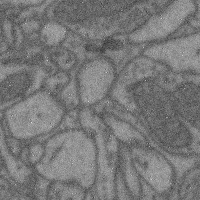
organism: Mouse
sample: Cerebral cortex